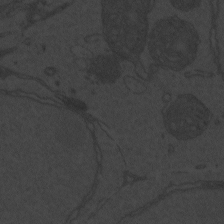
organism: Zebrafish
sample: Macrophage infected with Toxoplasma gondii